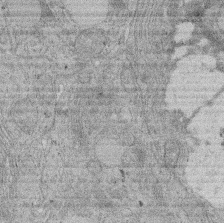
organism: Rat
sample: Salivary granule